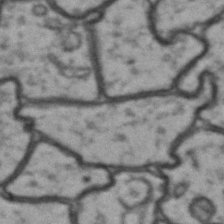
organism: Drosophila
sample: Brain